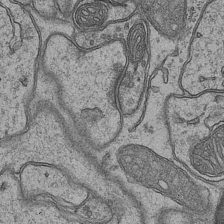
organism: Mouse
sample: CA1 Hippocampus